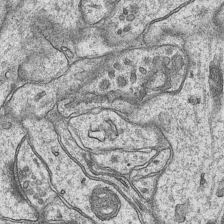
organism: Mouse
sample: CA1 Hippocampus